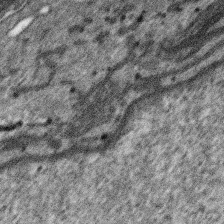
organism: Human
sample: Lung epithelial cells infected with SARS-CoV-2